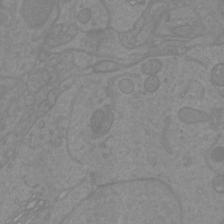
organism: Mouse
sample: Cortical neurons